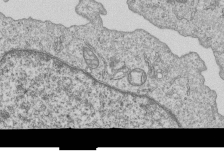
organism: Human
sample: MDA-MB-231 cells